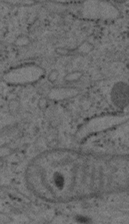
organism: Human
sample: HeLa cells